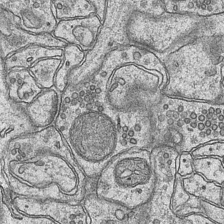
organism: Mouse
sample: CA1 Hippocampus